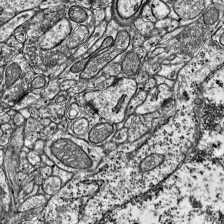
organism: Mouse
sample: Visual Cortex